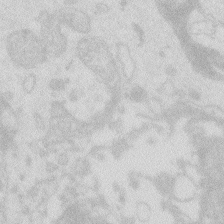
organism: Zebrafish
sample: Macrophage